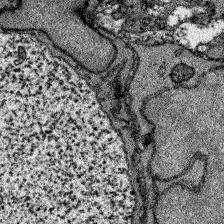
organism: Zebrafish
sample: Larval olfactory bulb